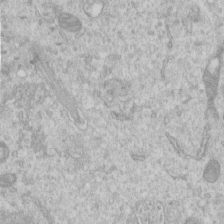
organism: Human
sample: Centriole in RPE cells